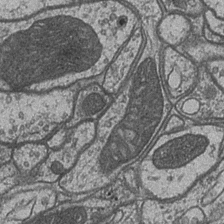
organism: Drosophila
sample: Optic medulla